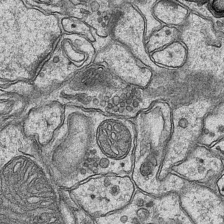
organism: Mouse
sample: CA1 Hippocampus